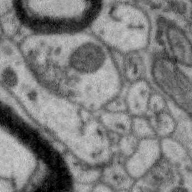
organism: Zebra finch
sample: Brain